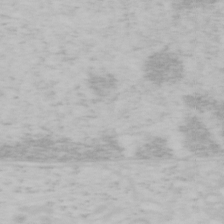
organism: Mouse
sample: OT-I killer T cells with ID8 ovarian cancer cells